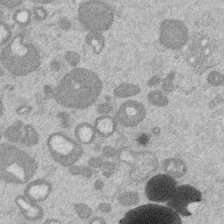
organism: Mouse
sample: Dividing mouse embryo 1 cell stage